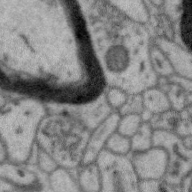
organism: Zebra finch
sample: Brain